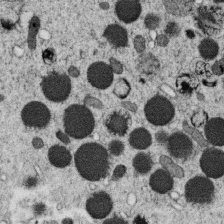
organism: C. elegans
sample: C. elegans oocyte; sperm cells